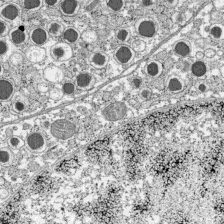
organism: C57BL Mouse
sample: Pancreatic islet